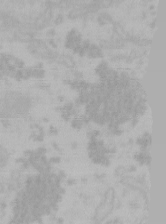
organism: Mouse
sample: Choroid plexus